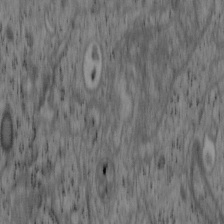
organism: Human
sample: HeLa cells